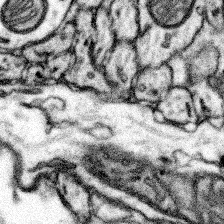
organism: Mouse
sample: Somatosensory cortex neuropil